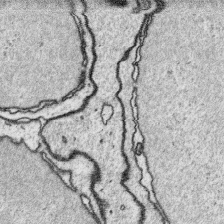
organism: Platynereis dumerilii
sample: Parapodia